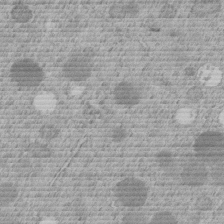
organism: C. elegans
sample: C. elegans embryo early stage